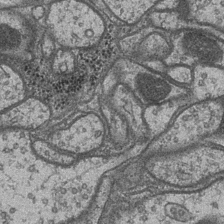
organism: Drosophila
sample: Optic medulla